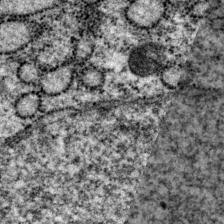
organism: P. pacificus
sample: Pharynx